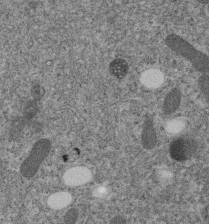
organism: C. elegans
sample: C. elegans embryo early stage